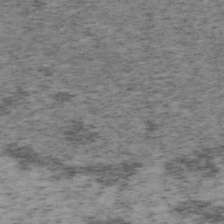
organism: Mouse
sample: OT-I killer T cells with ID8 ovarian cancer cells